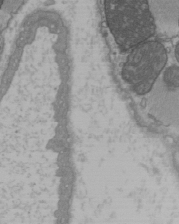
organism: C57BL Mouse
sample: Heart